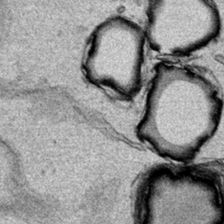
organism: Human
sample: Mitochondria in HCT116 cells